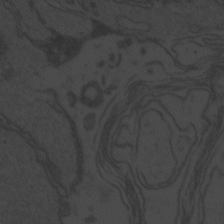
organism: Zebrafish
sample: Macrophage infected with Toxoplasma gondii